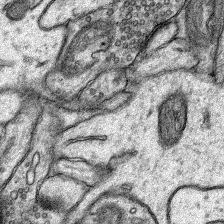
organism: Rat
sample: Hippocampus